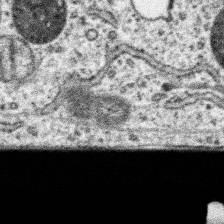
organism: Human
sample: HeLa cells